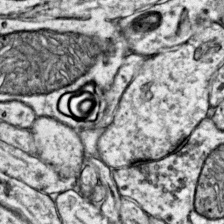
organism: Mouse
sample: Primary visual cortex